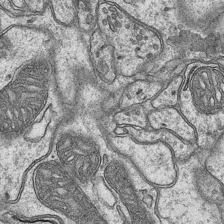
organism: Mouse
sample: CA1 Hippocampus